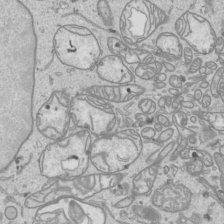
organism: Human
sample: Mitochondria in HCT116 cells